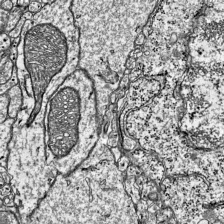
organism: Mouse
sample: Visual Cortex